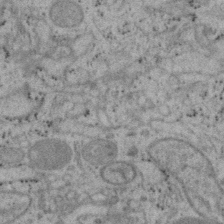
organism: Human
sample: HeLa cells